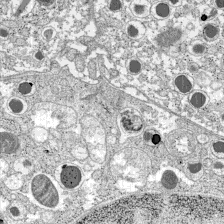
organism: C57BL Mouse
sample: Pancreatic islet